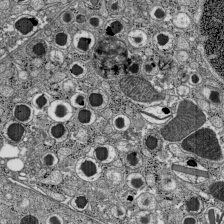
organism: C57BL Mouse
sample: Pancreatic islet